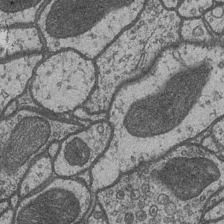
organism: Drosophila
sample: Optic medulla